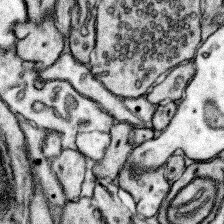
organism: Mouse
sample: Somatosensory cortex neuropil